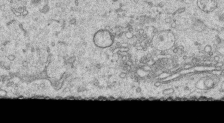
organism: Human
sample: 1205lu cells